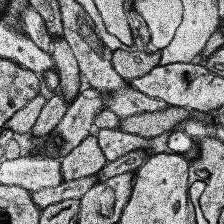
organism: Human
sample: Temporal Lobe